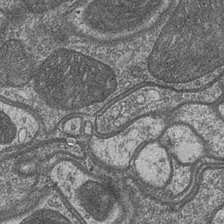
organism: Drosophila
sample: Optic medulla